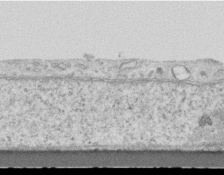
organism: Mouse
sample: Centriole in ependymal cells